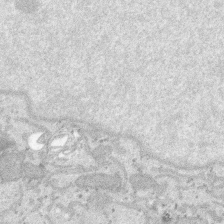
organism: Human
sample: Lung epithelial cells infected with SARS-CoV-2